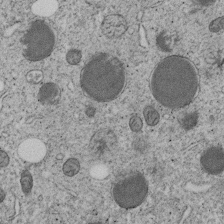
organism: C. elegans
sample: C. elegans embryo early stage